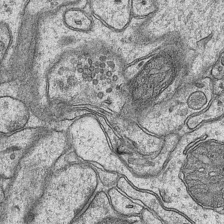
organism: Mouse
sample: CA1 Hippocampus